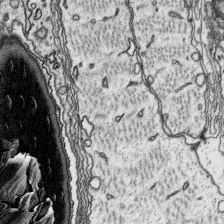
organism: Platynereis dumerilii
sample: Parapodia